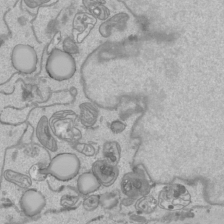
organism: Human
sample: Mitochondria in HCT116 cells